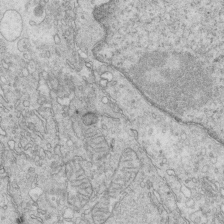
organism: Mouse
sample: Multiciliated cells